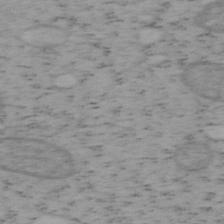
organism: Mouse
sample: OT-I killer T cells with ID8 ovarian cancer cells